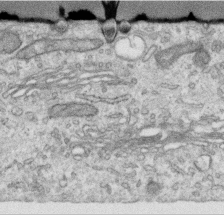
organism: Human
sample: Centriole in RPE cells